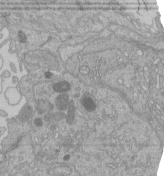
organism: Human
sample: Retinal organoid Rod and Cone cells